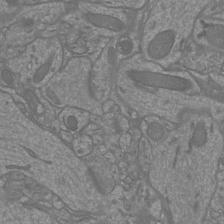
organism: Mouse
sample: Cortical neurons